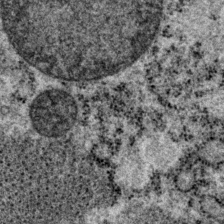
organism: P. pacificus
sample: Pharynx